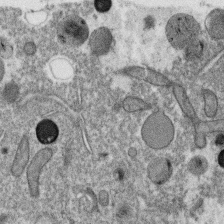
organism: C. elegans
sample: C. elegans oocyte; sperm cells